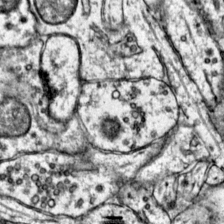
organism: Mouse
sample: Primary visual cortex